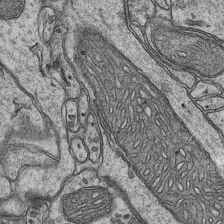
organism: Mouse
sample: CA1 Hippocampus